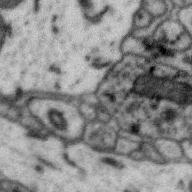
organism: Zebra finch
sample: Brain